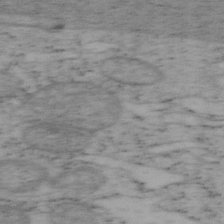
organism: Mouse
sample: OT-I killer T cells with ID8 ovarian cancer cells